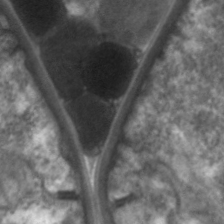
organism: C. elegans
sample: Pharynx